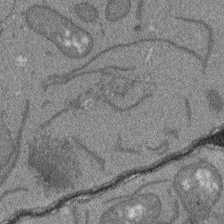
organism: Arabidopsis thaliana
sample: Root tip